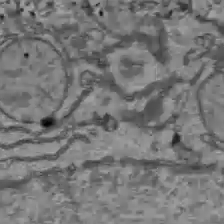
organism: C57BL Mouse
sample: Liver